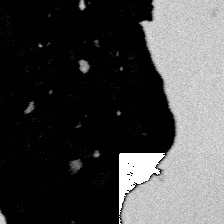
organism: Platynereis dumerilii